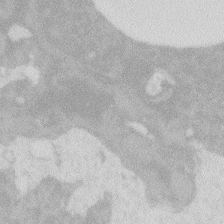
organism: Zebrafish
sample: Macrophage